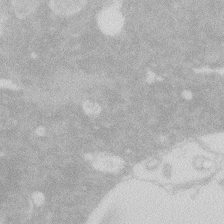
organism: Zebrafish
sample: Macrophage